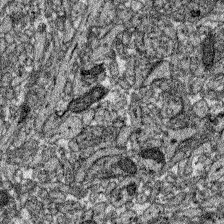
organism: Zebrafish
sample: Larval olfactory bulb